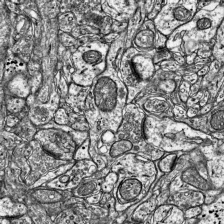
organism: Mouse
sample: Visual Cortex